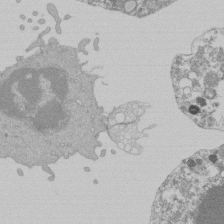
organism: Mouse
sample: Activated Pmel transgenic CD8+ T Cells